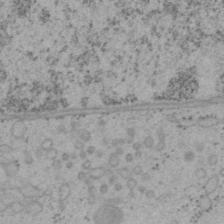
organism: Human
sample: HeLa cells